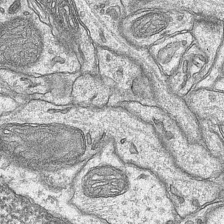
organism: Mouse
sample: CA1 Hippocampus